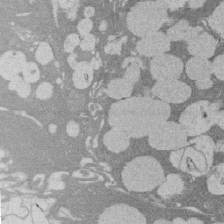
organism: Rat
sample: Salivary granule